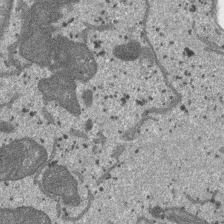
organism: Human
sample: Lung epithelial cells infected with SARS-CoV-2